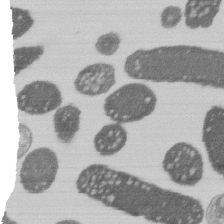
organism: E. coli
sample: Bacterial nucleoid